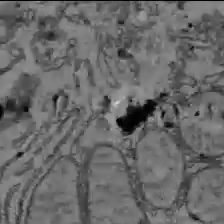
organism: C57BL Mouse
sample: Liver